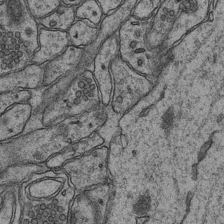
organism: Mouse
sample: CA1 Hippocampus